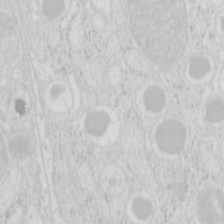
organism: Mouse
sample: Pancreas